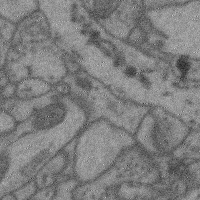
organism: Mouse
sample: Cerebral cortex